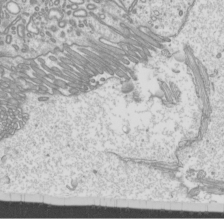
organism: Mouse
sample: Cilia; mouse epididymis